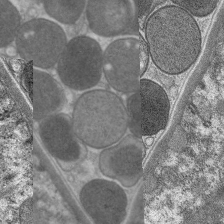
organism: C. elegans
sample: Pharynx